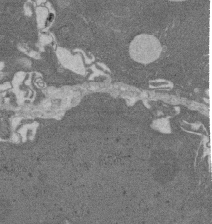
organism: Rat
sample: Salivary granule